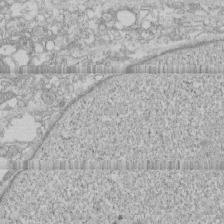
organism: Human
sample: CRL-1474